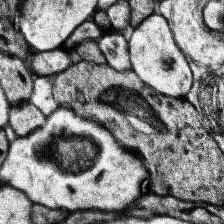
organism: Human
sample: Temporal Lobe